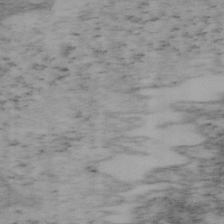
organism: Mouse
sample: OT-I killer T cells with ID8 ovarian cancer cells